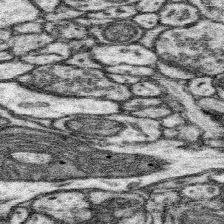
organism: Mouse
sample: Somatosensory cortex neuropil